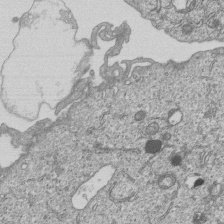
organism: Human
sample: MDA-MB-231 cells